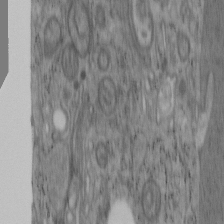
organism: Human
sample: HeLa cells